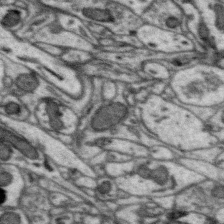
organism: Zebra finch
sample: Brain